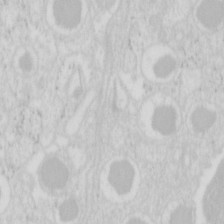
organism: Mouse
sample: Pancreas